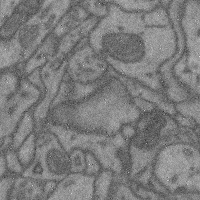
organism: Mouse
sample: Cerebral cortex